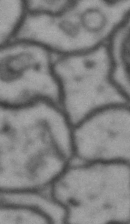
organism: Drosophila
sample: Brain